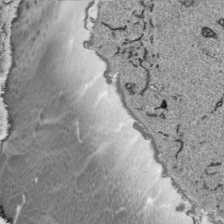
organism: Human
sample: Mitochondria in HCT116 cells